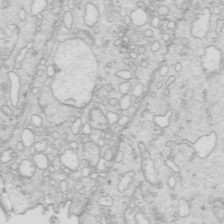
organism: Mouse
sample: Multiciliated cells